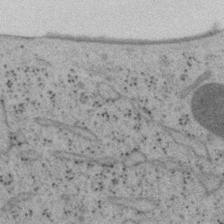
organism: Human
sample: HeLa cells